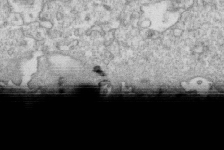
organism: Mouse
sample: Activated OT-1 CD8+ T cells